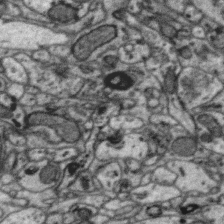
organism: Zebra finch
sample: Brain